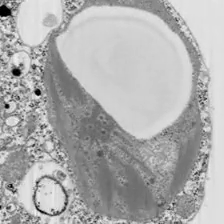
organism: Chlamydomonas reinhardtii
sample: Whole Cell